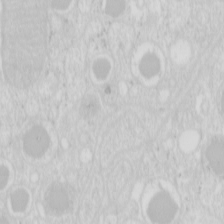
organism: Mouse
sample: Pancreas